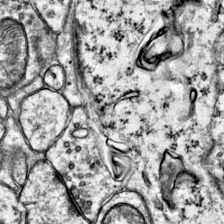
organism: Mouse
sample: Primary visual cortex